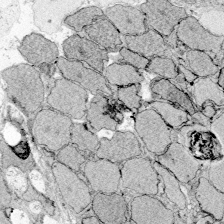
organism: Zebrafish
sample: Whole-Brain